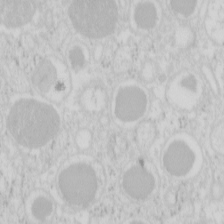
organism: Mouse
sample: Pancreas